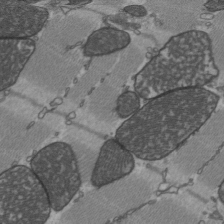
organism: C57BL Mouse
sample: Heart